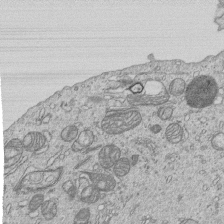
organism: Human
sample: MDA-MB-231 cells